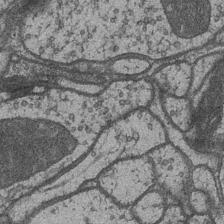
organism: Drosophila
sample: Optic medulla